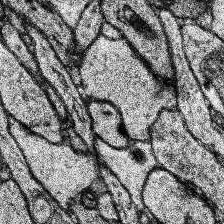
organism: Human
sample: Temporal Lobe